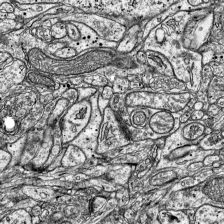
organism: Mouse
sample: Visual Cortex